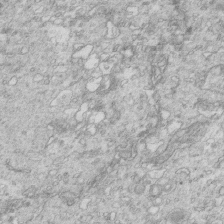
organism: Mouse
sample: Multiciliated cells